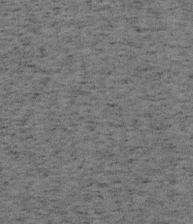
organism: Mouse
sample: OT-I killer T cells with ID8 ovarian cancer cells